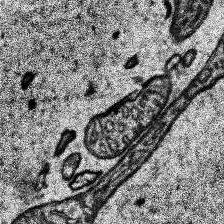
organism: Human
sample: Temporal Lobe